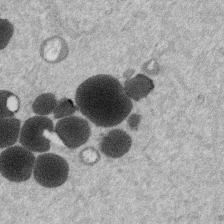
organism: Mouse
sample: Dividing mouse embryo 1 cell stage